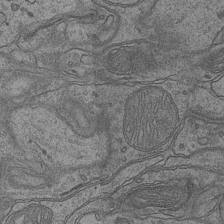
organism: Mouse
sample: CA1 Hippocampus